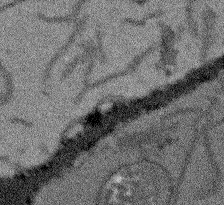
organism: Arabidopsis thaliana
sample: Root tip